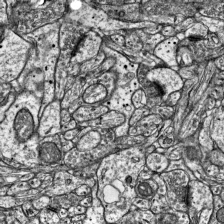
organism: Mouse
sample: Visual Cortex